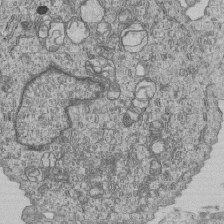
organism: Human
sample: MDA-MB-231 cells